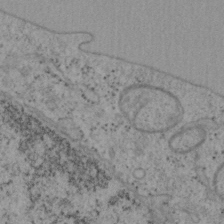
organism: Human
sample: HeLa cells